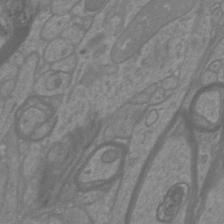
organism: Mouse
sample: Cortical neurons